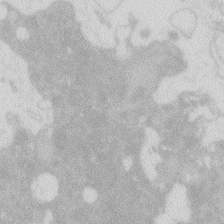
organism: Zebrafish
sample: Macrophage